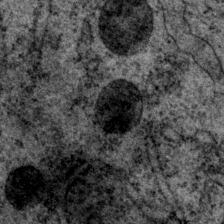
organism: P. pacificus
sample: Pharynx